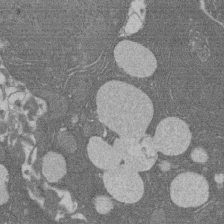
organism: Rat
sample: Salivary granule